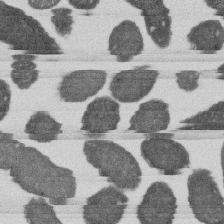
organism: E. coli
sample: Bacterial nucleoid